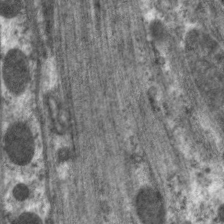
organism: C. elegans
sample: Pharynx